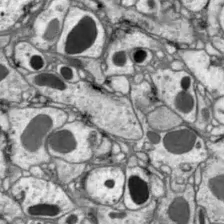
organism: Drosophila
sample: Optic lobe